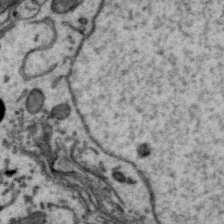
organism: Zebra finch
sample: Brain